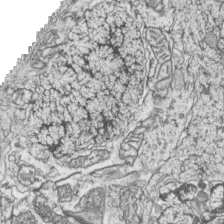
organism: Zebrafish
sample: synaptic ribbons in rod cells and cone cells